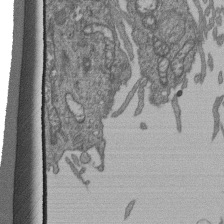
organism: Human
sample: Retinal organoid Rod and Cone cells